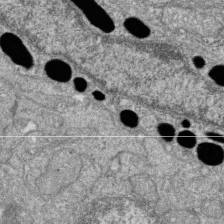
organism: Zebrafish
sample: Cilia; retinal pigment epithelium